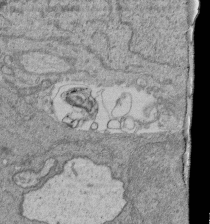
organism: Human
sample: Retinal organoid Rod and Cone cells